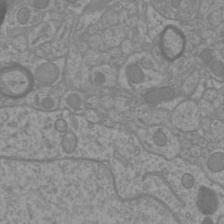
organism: Mouse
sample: Cortical neurons